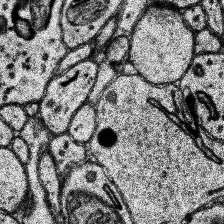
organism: Human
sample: Temporal Lobe